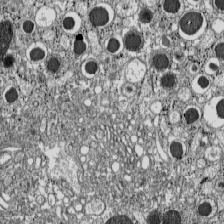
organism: C57BL Mouse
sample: Pancreatic islet